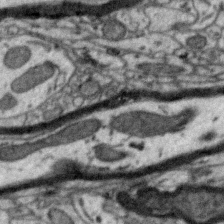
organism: Zebra finch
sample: Brain